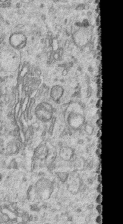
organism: Human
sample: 1205lu cells